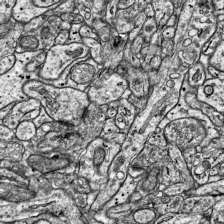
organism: Mouse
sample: Visual Cortex